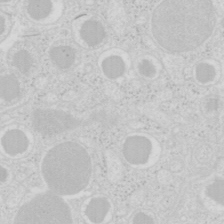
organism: Mouse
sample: Pancreas